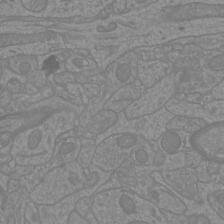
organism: Mouse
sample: Cortical neurons